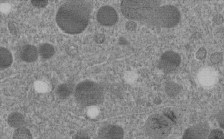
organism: C. elegans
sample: C. elegans embryo early stage